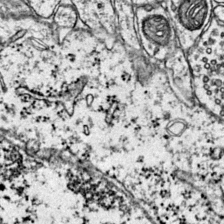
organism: Mouse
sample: Primary visual cortex